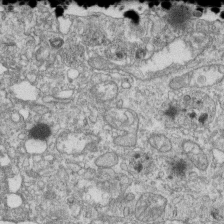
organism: Human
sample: HeLa cell HIV synapse